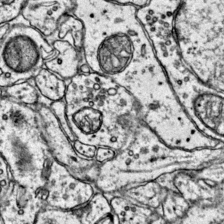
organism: Mouse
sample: Primary visual cortex